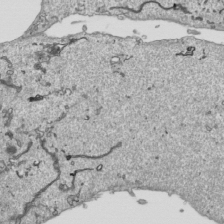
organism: Human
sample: Mitochondria in HCT116 cells